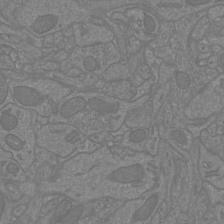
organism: Mouse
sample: Cortical neurons